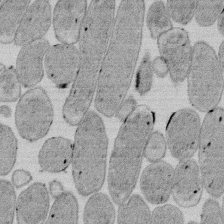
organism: E. coli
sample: Bacterial nucleoid